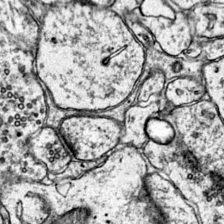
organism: Mouse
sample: Primary visual cortex